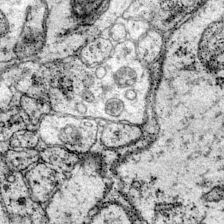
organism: Mouse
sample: Primary visual cortex